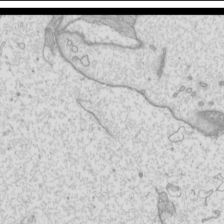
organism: Mouse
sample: Cilia; mouse epididymis